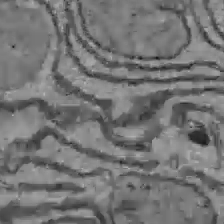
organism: C57BL Mouse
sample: Liver